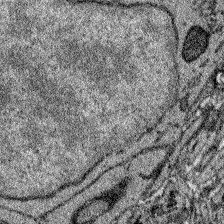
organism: Zebrafish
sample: Larval olfactory bulb